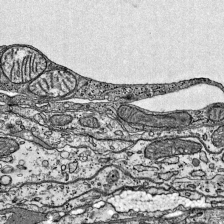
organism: Mouse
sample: Visual Cortex